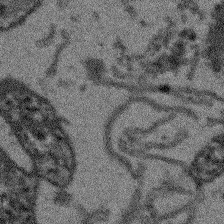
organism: Arabidopsis thaliana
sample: Root tip